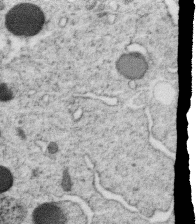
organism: C. elegans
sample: C. elegans oocyte; sperm cells